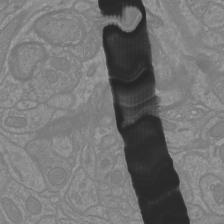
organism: Mouse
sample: Cortical neurons